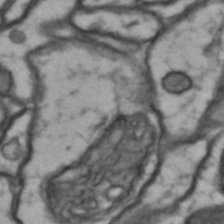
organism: Drosophila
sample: Brain